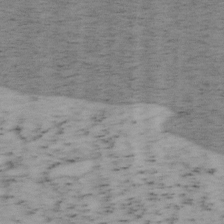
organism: Mouse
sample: OT-I killer T cells with ID8 ovarian cancer cells